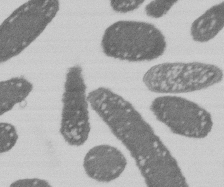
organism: E. coli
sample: Bacterial nucleoid